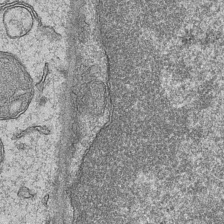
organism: Mouse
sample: CA1 Hippocampus